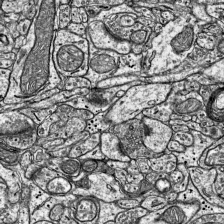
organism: Mouse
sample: Visual Cortex